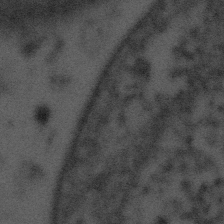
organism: Tuwongella immobilis